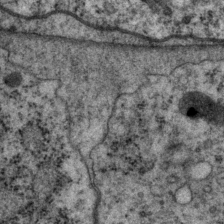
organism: P. pacificus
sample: Pharynx